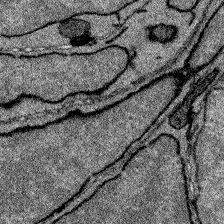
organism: Zebrafish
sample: Larval olfactory bulb